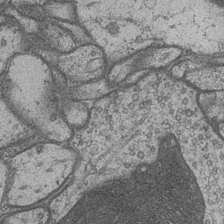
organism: Drosophila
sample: Optic medulla